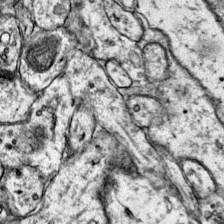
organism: Mouse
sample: Primary visual cortex